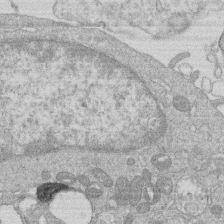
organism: Human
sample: Macrophage cells